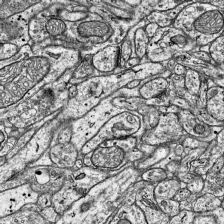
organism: Mouse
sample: Visual Cortex